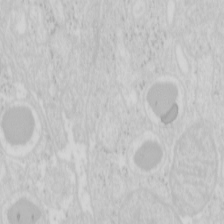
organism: Mouse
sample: Pancreas